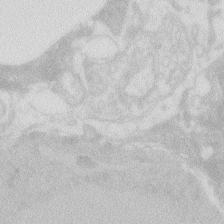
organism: Zebrafish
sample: Macrophage